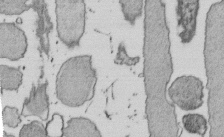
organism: E. coli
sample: Bacterial nucleoid